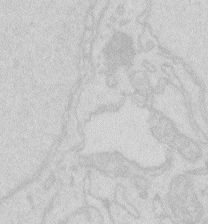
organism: Zebrafish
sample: Macrophage